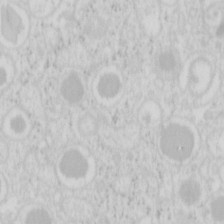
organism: Mouse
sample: Pancreas